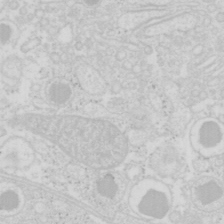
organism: Mouse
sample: Pancreas